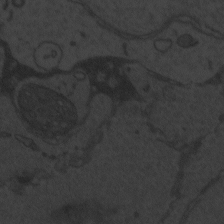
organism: Zebrafish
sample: Macrophage infected with Toxoplasma gondii